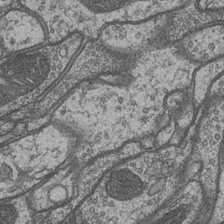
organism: Drosophila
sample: Optic medulla